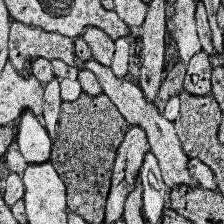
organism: Human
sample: Temporal Lobe